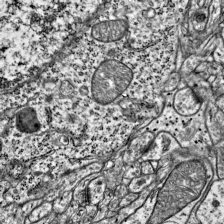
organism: Mouse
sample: Visual Cortex